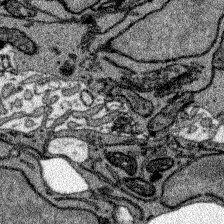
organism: Zebrafish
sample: Larval olfactory bulb